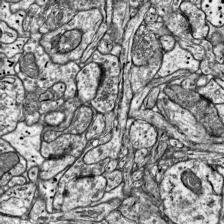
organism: Mouse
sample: Visual Cortex